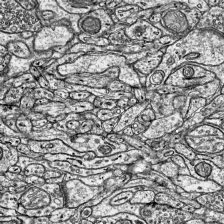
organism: Mouse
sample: Visual Cortex